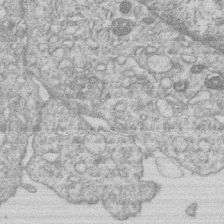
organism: Human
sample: Macrophage cells